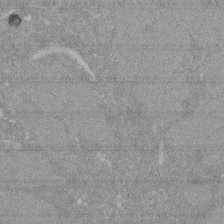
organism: Mouse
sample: ED-1 cell nuclei; centrioles